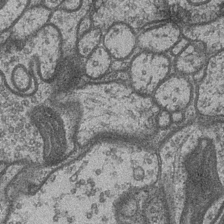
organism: Drosophila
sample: Optic medulla